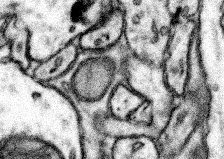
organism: Mouse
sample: Somatosensory cortex neuropil